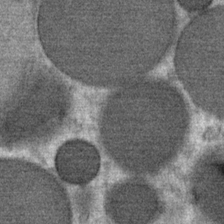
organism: Mouse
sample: Mouse Salivary gland